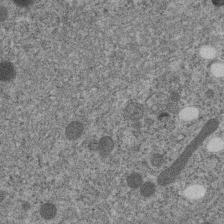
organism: C. elegans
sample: C. elegans embryo early stage